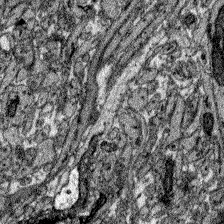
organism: Zebrafish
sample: Larval olfactory bulb